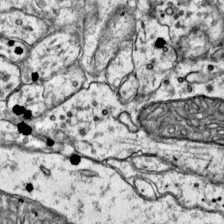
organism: Mouse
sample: Primary visual cortex